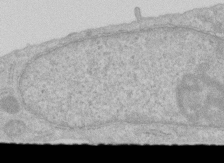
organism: Human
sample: Centriole in RPE cells